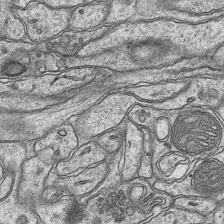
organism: Mouse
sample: CA1 Hippocampus